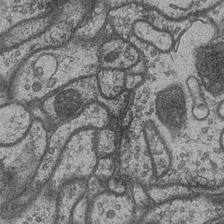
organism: Drosophila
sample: Optic medulla